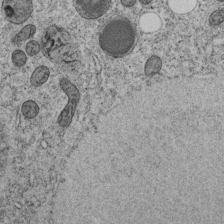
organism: C. elegans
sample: C. elegans embryo early stage